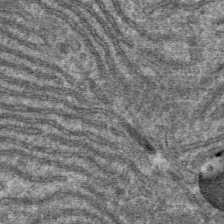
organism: Mouse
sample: Mouse hepatocytes